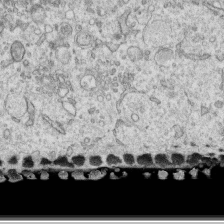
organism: Human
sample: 1205lu cells